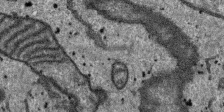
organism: Human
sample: Lung epithelial cells, uninfected (mock) control